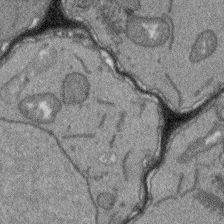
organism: Arabidopsis thaliana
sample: Root tip